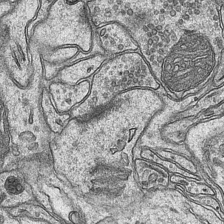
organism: Mouse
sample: CA1 Hippocampus